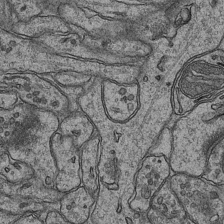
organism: Mouse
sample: CA1 Hippocampus